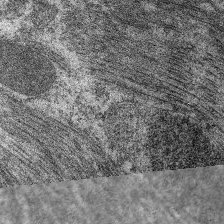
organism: C. elegans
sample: Pharynx